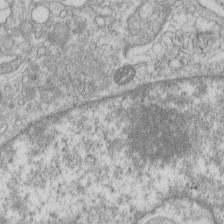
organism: Human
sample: Macrophage cells